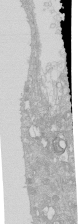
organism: Human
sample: Caco-2 cells